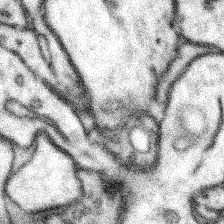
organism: Mouse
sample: Somatosensory cortex neuropil